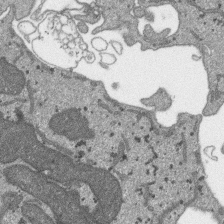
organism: Human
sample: Lung epithelial cells infected with SARS-CoV-2